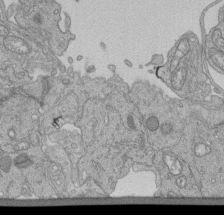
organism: Human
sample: Retinal organoid Rod and Cone cells